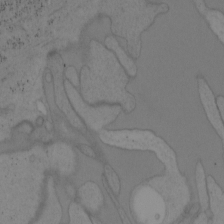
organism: Mouse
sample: OT-I killer T cells with ID8 ovarian cancer cells